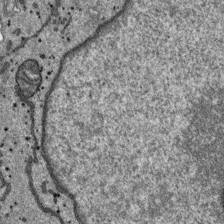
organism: Human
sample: Lung epithelial cells, uninfected (mock) control